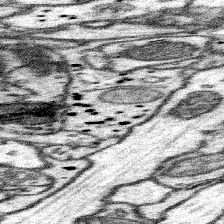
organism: Mouse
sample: Somatosensory cortex neuropil